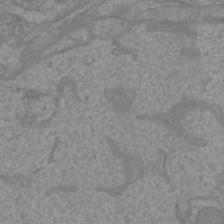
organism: Mouse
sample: Cortical neurons